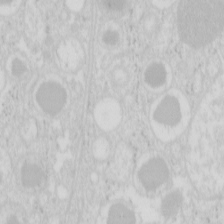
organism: Mouse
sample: Pancreas